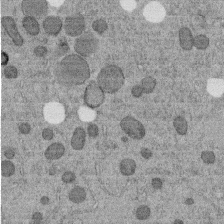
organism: C. elegans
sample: C. elegans embryo early stage